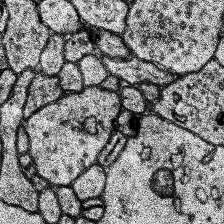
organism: Human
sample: Temporal Lobe